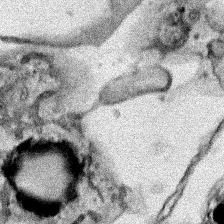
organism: Human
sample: Mitochondria in HCT116 cells